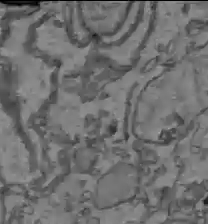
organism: C57BL Mouse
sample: Liver